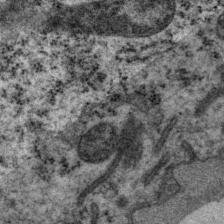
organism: P. pacificus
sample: Pharynx